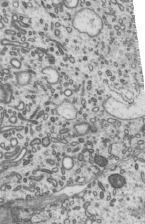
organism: Mouse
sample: Mouse epididymis efferent ductule cilia